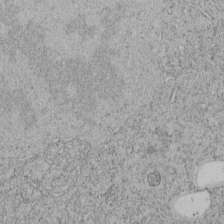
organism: C. elegans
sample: C. elegans embryo early stage